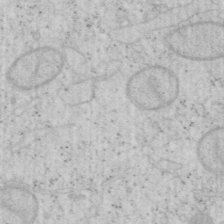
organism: Human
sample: HeLa cells